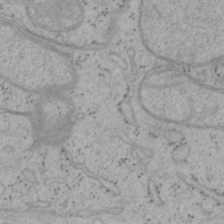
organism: Human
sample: HeLa cells